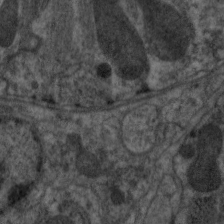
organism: C. elegans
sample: Pharynx